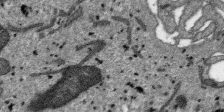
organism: Human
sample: Lung epithelial cells, uninfected (mock) control